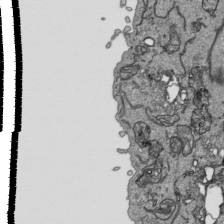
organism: Human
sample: Mitochondria in HCT116 cells